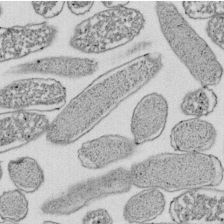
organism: E. coli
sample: Bacterial nucleoid